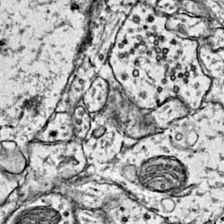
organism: Mouse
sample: Primary visual cortex